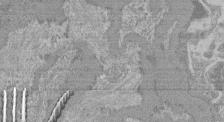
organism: Mouse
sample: Glomerulus